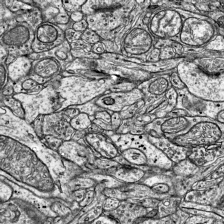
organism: Mouse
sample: Visual Cortex